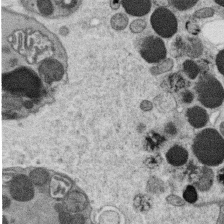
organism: C. elegans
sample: C. elegans oocyte; sperm cells